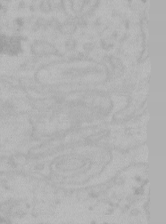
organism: Mouse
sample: Choroid plexus